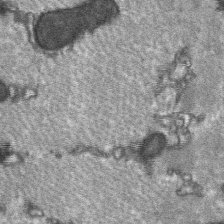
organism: C57BL Mouse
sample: Soleus